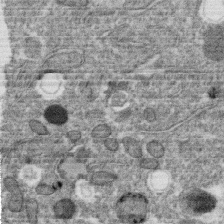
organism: C. elegans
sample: C. elegans oocyte; sperm cells